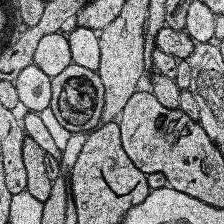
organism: Human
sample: Temporal Lobe